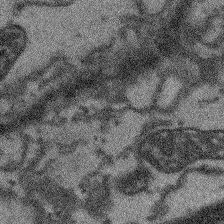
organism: Arabidopsis thaliana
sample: Root tip